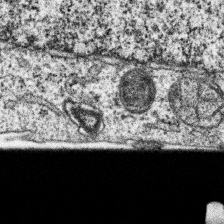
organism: Human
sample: HeLa cells